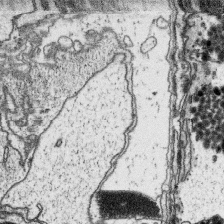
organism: Platynereis dumerilii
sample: Parapodia